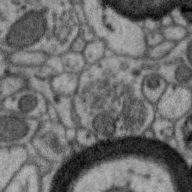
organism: Zebra finch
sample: Brain